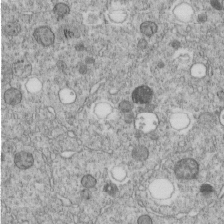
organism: C. elegans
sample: C. elegans embryo early stage